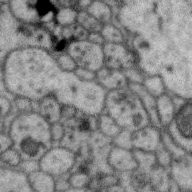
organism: Zebra finch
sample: Brain